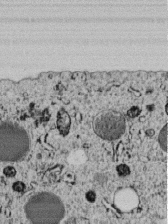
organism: C. elegans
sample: C. elegans embryo early stage